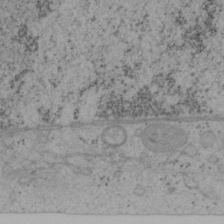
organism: Human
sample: HeLa cells